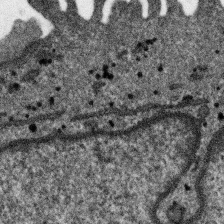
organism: Human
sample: Lung epithelial cells infected with SARS-CoV-2